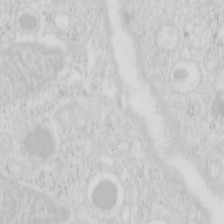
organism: Mouse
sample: Pancreas